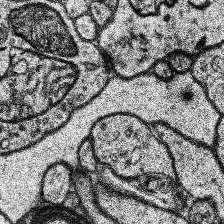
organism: Human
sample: Temporal Lobe